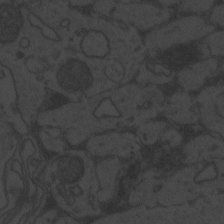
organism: Zebrafish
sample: Macrophage infected with Toxoplasma gondii